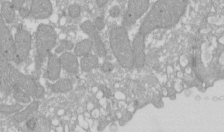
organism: Xenopus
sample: Cilia; centrioles in frog embryo cells